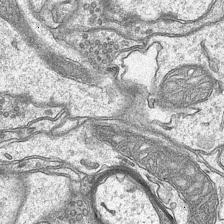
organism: Mouse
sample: CA1 Hippocampus